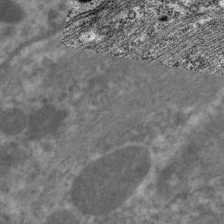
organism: C. elegans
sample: Pharynx